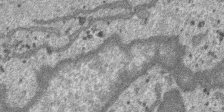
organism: Human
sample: Lung epithelial cells infected with SARS-CoV-2